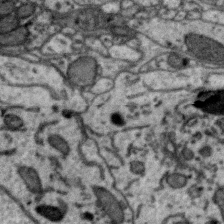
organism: Zebra finch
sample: Brain